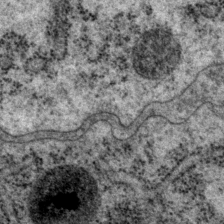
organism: P. pacificus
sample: Pharynx